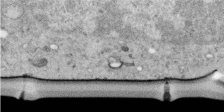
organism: Human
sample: Centriole in RPE cells